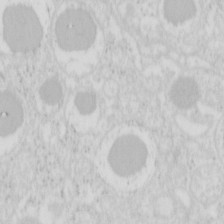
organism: Mouse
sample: Pancreas